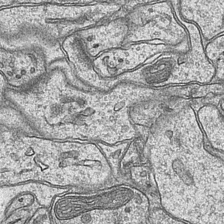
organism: Mouse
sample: CA1 Hippocampus